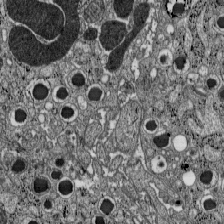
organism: C57BL Mouse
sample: Pancreatic islet